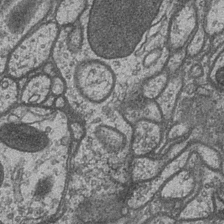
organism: Drosophila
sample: Optic medulla